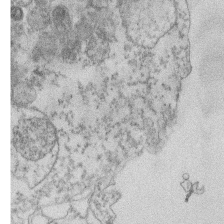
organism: Human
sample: HeLa cell HIV synapse